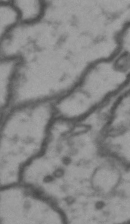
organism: Drosophila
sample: Brain